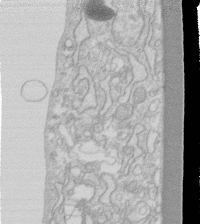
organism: Human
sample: Fibroblast cells